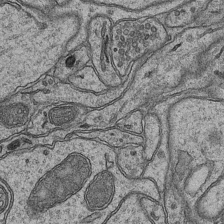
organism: Mouse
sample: CA1 Hippocampus